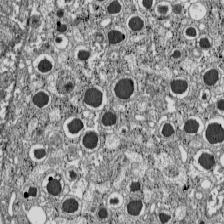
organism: C57BL Mouse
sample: Pancreatic islet